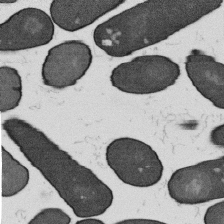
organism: B. subtilis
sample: Bacterial spore